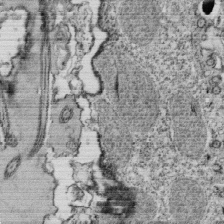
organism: Tetrahymena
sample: Cilia in tetrahymena